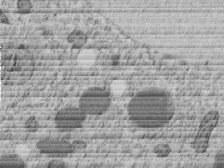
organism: C. elegans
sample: C. elegans embryo early stage